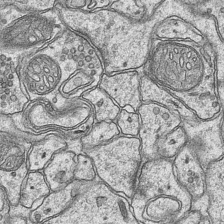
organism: Mouse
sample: CA1 Hippocampus